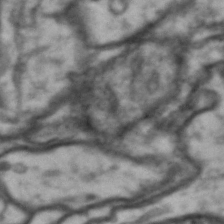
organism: Drosophila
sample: Brain